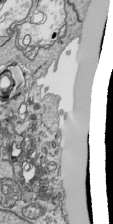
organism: Human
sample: Mitochondria in HCT116 cells